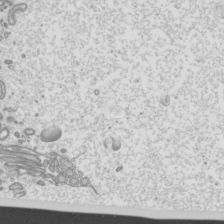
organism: Mouse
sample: Cilia; mouse epididymis